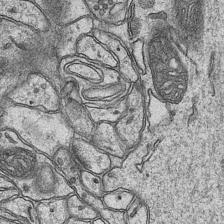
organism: Mouse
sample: CA1 Hippocampus